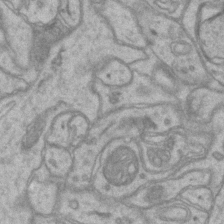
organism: Mouse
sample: CA1 Hippocampus